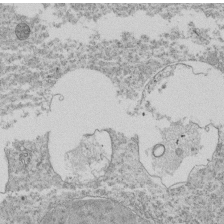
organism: Tetrahymena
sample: Cilia in tetrahymena